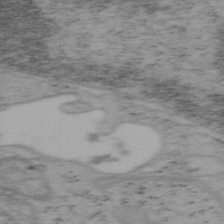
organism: Mouse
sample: OT-I killer T cells with ID8 ovarian cancer cells